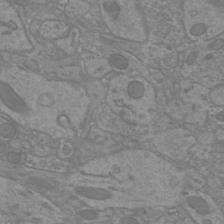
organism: Mouse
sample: Cortical neurons